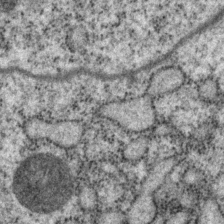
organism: P. pacificus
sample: Pharynx